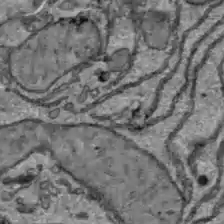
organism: C57BL Mouse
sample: Liver